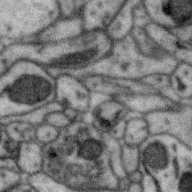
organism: Zebra finch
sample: Brain